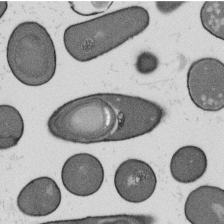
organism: B. subtilis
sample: Bacterial spore